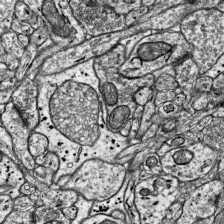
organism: Mouse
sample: Visual Cortex